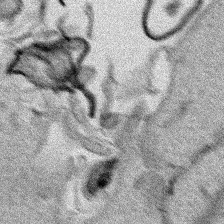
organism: Human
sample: Mitochondria in HCT116 cells